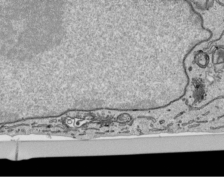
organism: Human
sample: Mitochondria in HCT116 cells